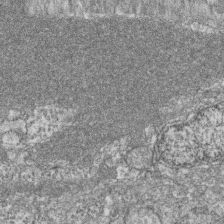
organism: Zebrafish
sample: Cilia; retinal pigment epithelium